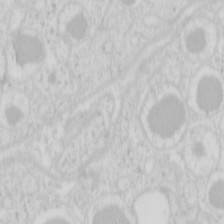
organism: Mouse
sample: Pancreas